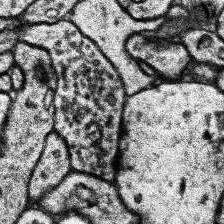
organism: Human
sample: Temporal Lobe